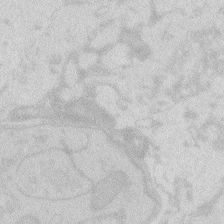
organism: Zebrafish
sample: Macrophage